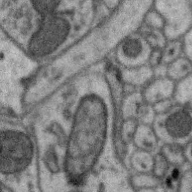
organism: Zebra finch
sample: Brain